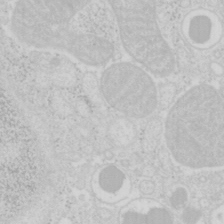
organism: Mouse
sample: Pancreas